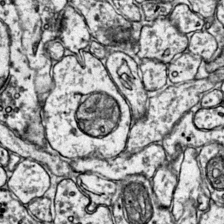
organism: Mouse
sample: Primary visual cortex